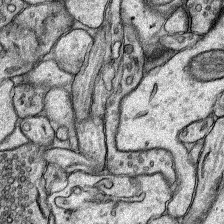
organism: Rat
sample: Hippocampus